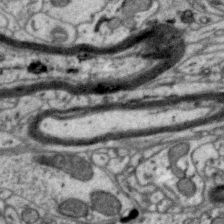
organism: Zebra finch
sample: Brain